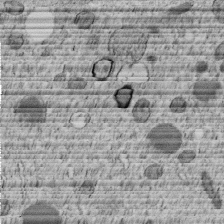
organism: C. elegans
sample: C. elegans embryo early stage